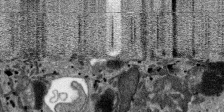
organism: Human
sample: Lung epithelial cells, uninfected (mock) control